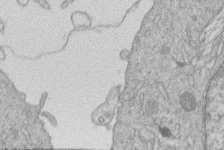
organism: Human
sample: Macrophage cells